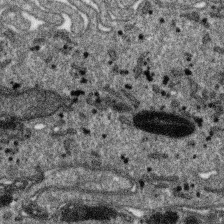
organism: Human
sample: Lung epithelial cells infected with SARS-CoV-2